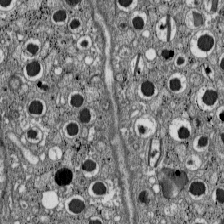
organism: C57BL Mouse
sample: Pancreatic islet